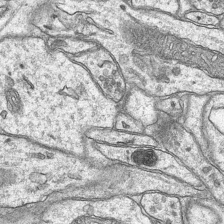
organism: Mouse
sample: CA1 Hippocampus